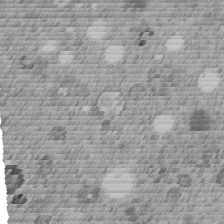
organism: C. elegans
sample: C. elegans embryo early stage